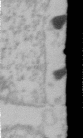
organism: Human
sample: U2-OS cells